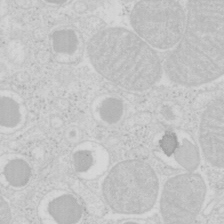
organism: Mouse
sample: Pancreas